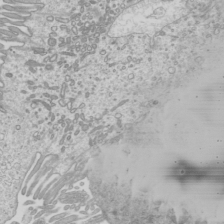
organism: Mouse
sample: Cilia; mouse epididymis